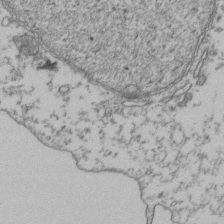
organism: Human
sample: Activated Jurkat CD4+ T cells